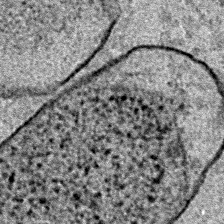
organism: E. coli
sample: E. Coli Bacteria